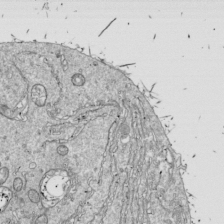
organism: Drosophila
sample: Cell division; meiosis; drosophila spermatocytes